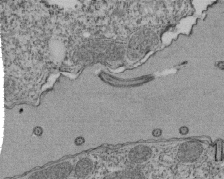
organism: Tetrahymena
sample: Cilia in tetrahymena